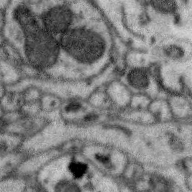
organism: Zebra finch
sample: Brain